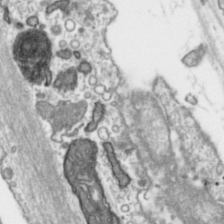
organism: Toxoplasma gondii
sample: Parasites in a vacuole inside a host cell